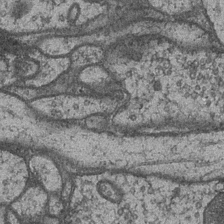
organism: Drosophila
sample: Optic medulla